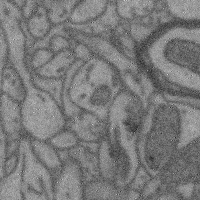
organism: Mouse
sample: Cerebral cortex